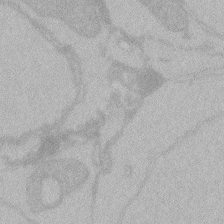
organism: Zebrafish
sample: Macrophage infected with Toxoplasma gondii